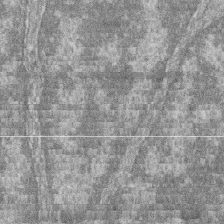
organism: Zebrafish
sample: Cilia; retinal pigment epithelium